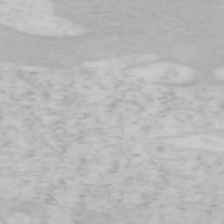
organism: Mouse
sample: OT-I killer T cells with ID8 ovarian cancer cells